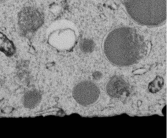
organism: C. elegans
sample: C. elegans embryo early stage